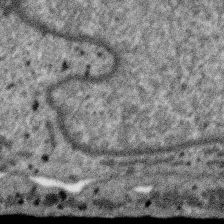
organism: Human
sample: Lung epithelial cells infected with SARS-CoV-2